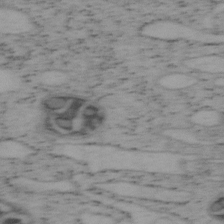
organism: Mouse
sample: OT-I killer T cells with ID8 ovarian cancer cells